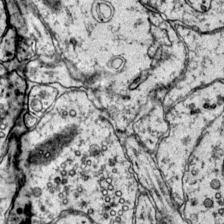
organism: Mouse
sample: Primary visual cortex